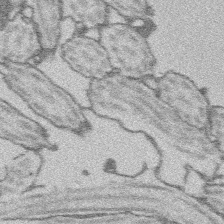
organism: Platynereis dumerilii